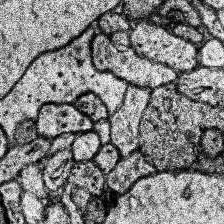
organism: Human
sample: Temporal Lobe